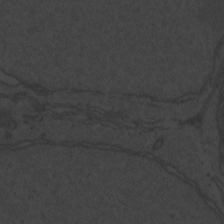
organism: Zebrafish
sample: Macrophage infected with Toxoplasma gondii